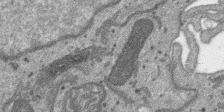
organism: Human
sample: Lung epithelial cells infected with SARS-CoV-2